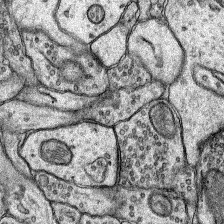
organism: Rat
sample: Hippocampus